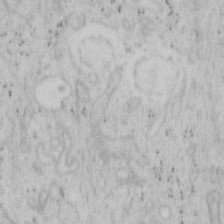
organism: Human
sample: HeLa cells